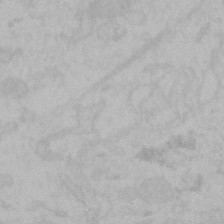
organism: Mouse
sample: Choroid plexus